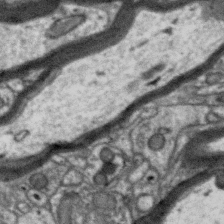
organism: Zebra finch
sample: Brain